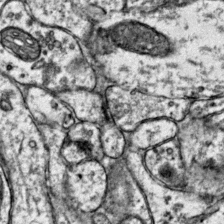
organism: Mouse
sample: Primary visual cortex